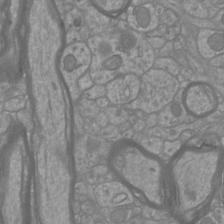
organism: Mouse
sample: Cortical neurons